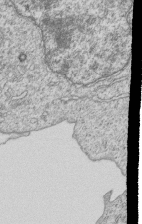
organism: Human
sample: MDA-MB-231 cells